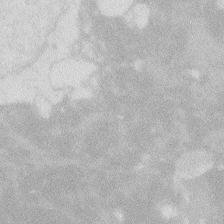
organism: Zebrafish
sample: Macrophage